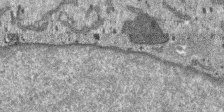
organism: Human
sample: Lung epithelial cells infected with SARS-CoV-2